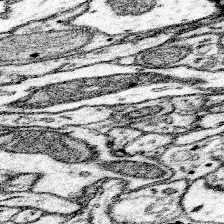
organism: Mouse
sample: Somatosensory cortex neuropil